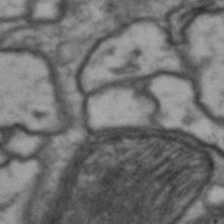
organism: Drosophila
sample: Brain